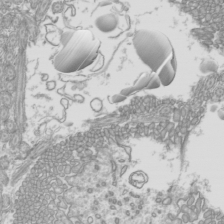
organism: Mouse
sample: Cilia; mouse epididymis